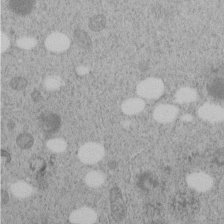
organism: C. elegans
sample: C. elegans embryo early stage